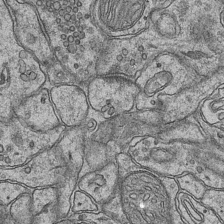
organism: Mouse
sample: CA1 Hippocampus